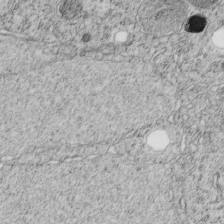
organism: C. elegans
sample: C. elegans embryo early stage